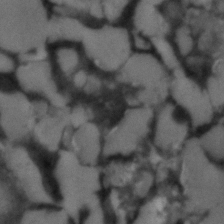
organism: C. elegans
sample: C. elegans embryo